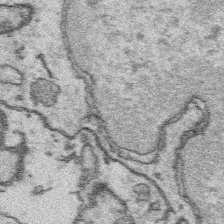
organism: Platynereis dumerilii